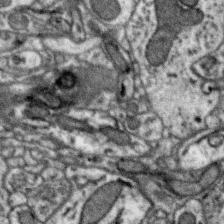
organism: Zebra finch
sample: Brain